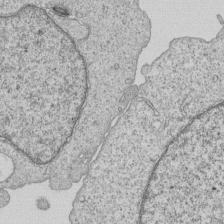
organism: Human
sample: MDA-MB-231 cells